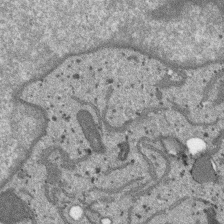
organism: Human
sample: Lung epithelial cells infected with SARS-CoV-2